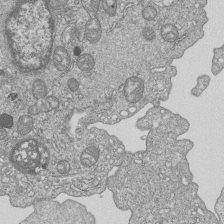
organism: Human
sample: MDA-MB-231 cells